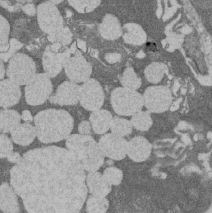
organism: Rat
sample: Salivary granule